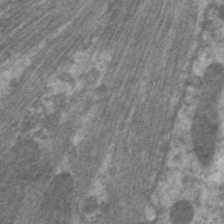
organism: C. elegans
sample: Pharynx